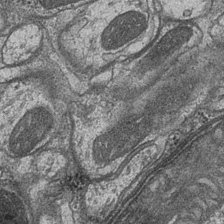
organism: Drosophila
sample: Optic medulla